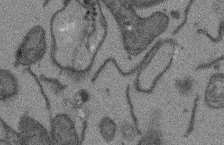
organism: Arabidopsis thaliana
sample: Root tip